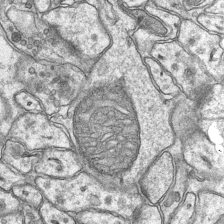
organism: Mouse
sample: CA1 Hippocampus